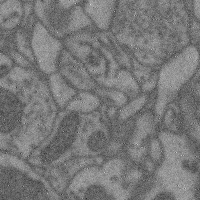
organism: Mouse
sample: Cerebral cortex